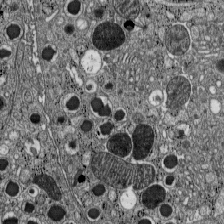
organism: C57BL Mouse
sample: Pancreatic islet